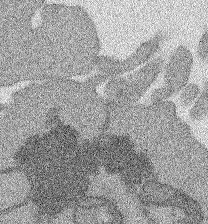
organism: Human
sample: HeLa cells